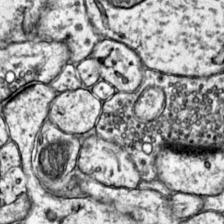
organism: Mouse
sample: Primary visual cortex